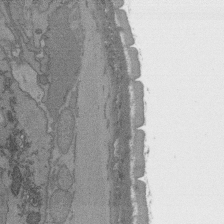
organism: C. elegans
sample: AFD neurons C. elegans